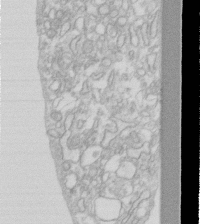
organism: Human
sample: Fibroblast cells